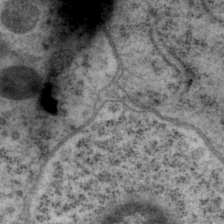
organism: P. pacificus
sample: Pharynx